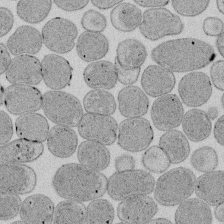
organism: E. coli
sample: Bacterial nucleoid